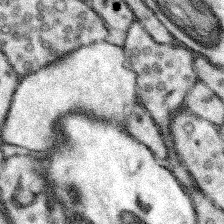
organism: Mouse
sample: Somatosensory cortex neuropil